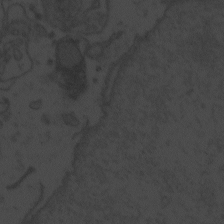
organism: Zebrafish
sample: Macrophage infected with Toxoplasma gondii